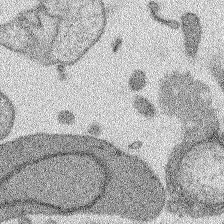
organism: Human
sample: HeLa cells